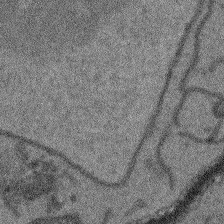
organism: Arabidopsis thaliana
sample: Root tip